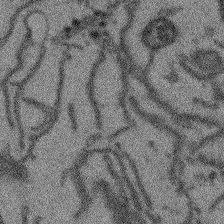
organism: Arabidopsis thaliana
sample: Root tip